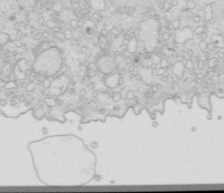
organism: Mouse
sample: Multiciliated cells